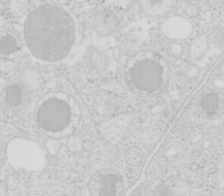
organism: Mouse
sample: Pancreas